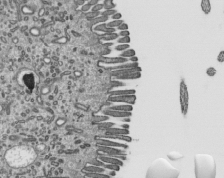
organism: Mouse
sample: Mouse epididymis efferent ductule cilia